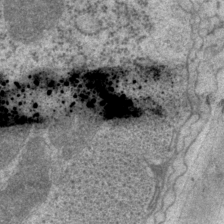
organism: P. pacificus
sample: Pharynx